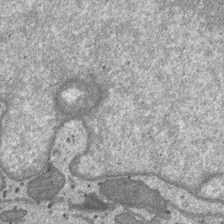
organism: Human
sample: Lung epithelial cells infected with SARS-CoV-2